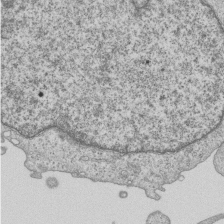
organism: Human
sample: MDA-MB-231 cells